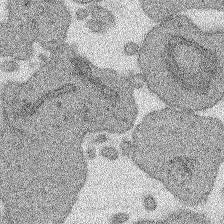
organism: Human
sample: HeLa cells